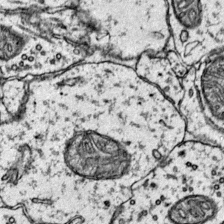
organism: Mouse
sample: Primary visual cortex